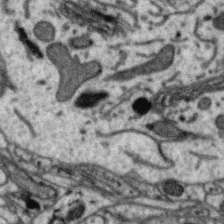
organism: Zebra finch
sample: Brain